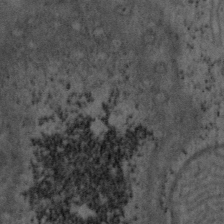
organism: Human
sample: HeLa cells